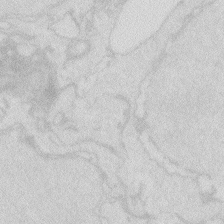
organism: Zebrafish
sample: Macrophage